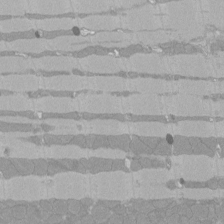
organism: Rat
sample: Left ventricle